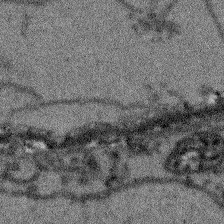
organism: Arabidopsis thaliana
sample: Root tip